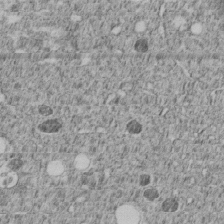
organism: C. elegans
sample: C. elegans embryo early stage